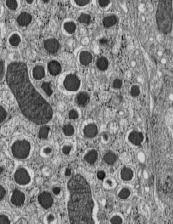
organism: C57BL Mouse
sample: Pancreatic islet